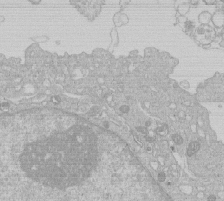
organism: Human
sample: Macrophage cells